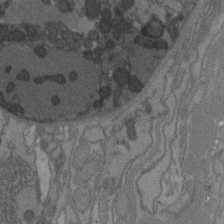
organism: C. elegans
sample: AFD neurons C. elegans